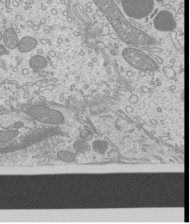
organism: Mouse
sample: Cilia; mouse epididymis